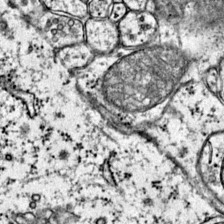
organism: Mouse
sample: Primary visual cortex